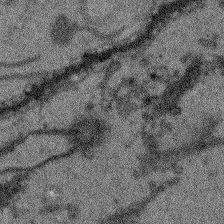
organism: Arabidopsis thaliana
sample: Root tip